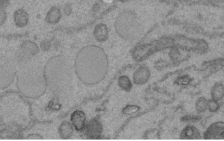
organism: C. elegans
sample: C. elegans embryo early stage